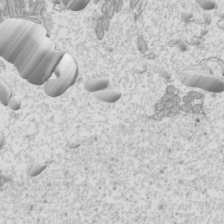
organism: Mouse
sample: Cilia; mouse epididymis